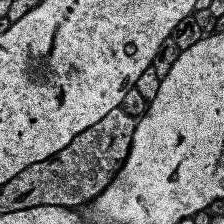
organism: Human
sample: Temporal Lobe